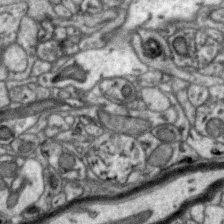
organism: Zebra finch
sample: Brain